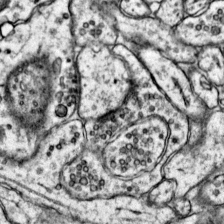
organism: Mouse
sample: Primary visual cortex